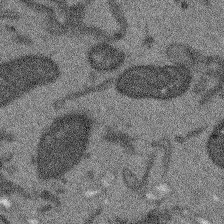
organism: Arabidopsis thaliana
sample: Root tip